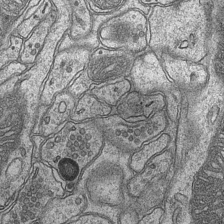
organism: Mouse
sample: CA1 Hippocampus